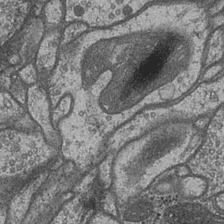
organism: Drosophila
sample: Optic medulla